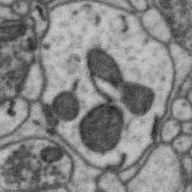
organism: Zebra finch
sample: Brain